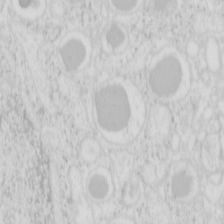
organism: Mouse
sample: Pancreas